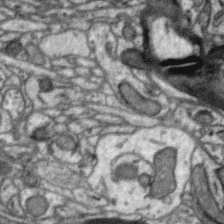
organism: Zebra finch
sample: Brain